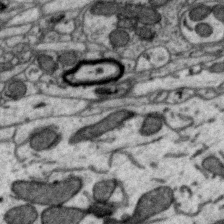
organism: Zebra finch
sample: Brain